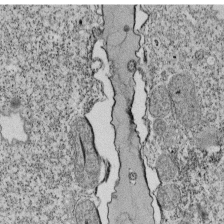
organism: Tetrahymena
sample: Cilia in tetrahymena